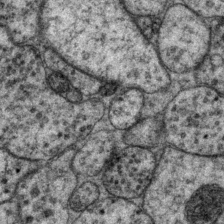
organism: P. pacificus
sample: Pharynx